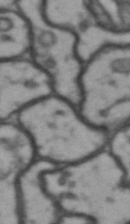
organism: Drosophila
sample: Brain